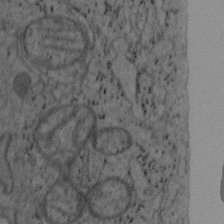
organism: Human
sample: HeLa cells